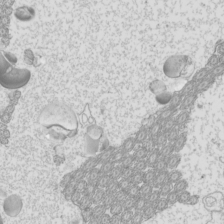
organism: Mouse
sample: Cilia; mouse epididymis